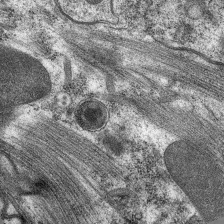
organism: C. elegans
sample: Pharynx